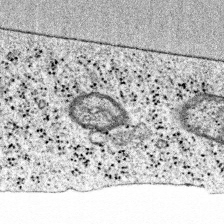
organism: Human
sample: HeLa cells